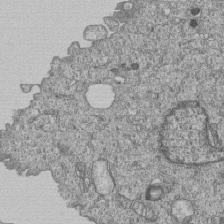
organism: Human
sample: MDA-MB-231 cells